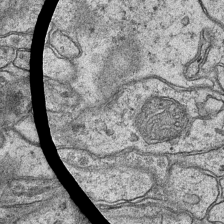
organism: Mouse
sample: CA1 Hippocampus